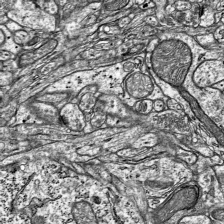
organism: Mouse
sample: Visual Cortex